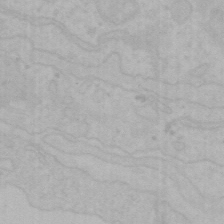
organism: Mouse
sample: Choroid plexus